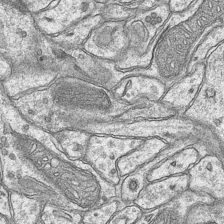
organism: Mouse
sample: CA1 Hippocampus